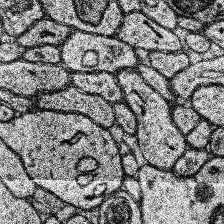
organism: Human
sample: Temporal Lobe